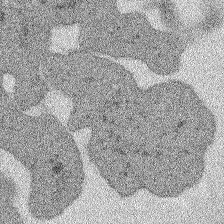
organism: Human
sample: HeLa cells